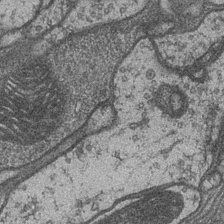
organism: Drosophila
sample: Optic medulla